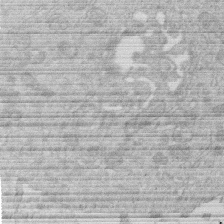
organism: Human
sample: Macrophage cells